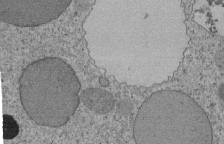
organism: Tetrahymena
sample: Cilia in tetrahymena